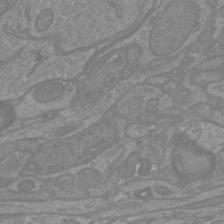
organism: Mouse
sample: Cortical neurons